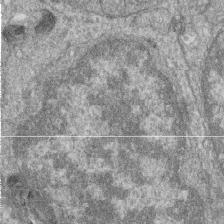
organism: Zebrafish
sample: Cilia; retinal pigment epithelium